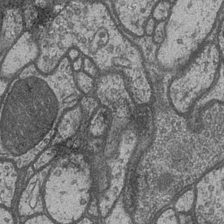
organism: Drosophila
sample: Optic medulla